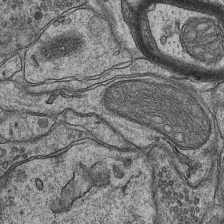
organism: Mouse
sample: CA1 Hippocampus